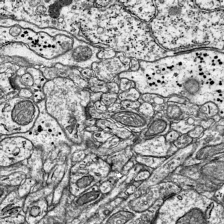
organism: Mouse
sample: Visual Cortex